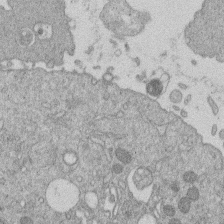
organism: Human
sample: Macrophage cells